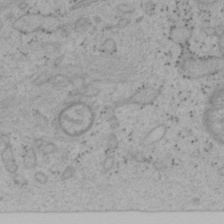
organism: Human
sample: HeLa cells